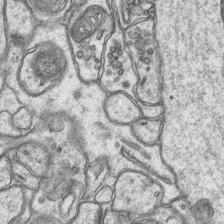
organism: Mouse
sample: CA1 Hippocampus